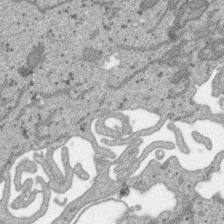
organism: Human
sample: Lung epithelial cells infected with SARS-CoV-2